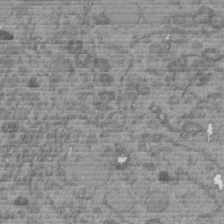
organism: C. elegans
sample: C. elegans embryo early stage